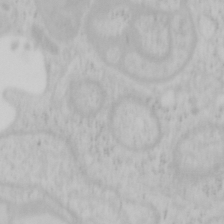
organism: Mouse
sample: OT-I killer T cells with ID8 ovarian cancer cells